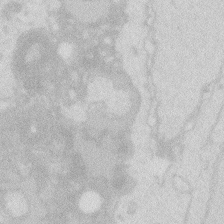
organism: Zebrafish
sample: Macrophage